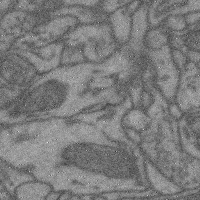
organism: Mouse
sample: Cerebral cortex